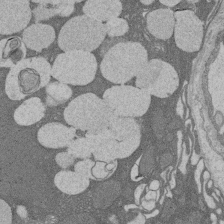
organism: Rat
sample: Salivary granule